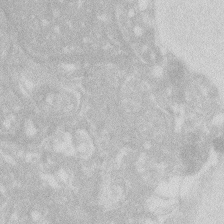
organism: Zebrafish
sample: Macrophage